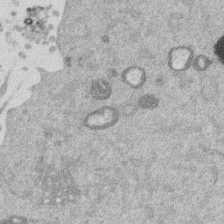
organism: Mouse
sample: Dividing mouse embryo 1 cell stage